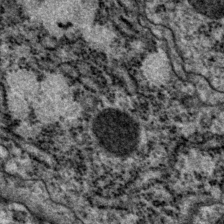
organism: P. pacificus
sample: Pharynx